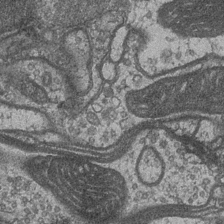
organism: Drosophila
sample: Optic medulla